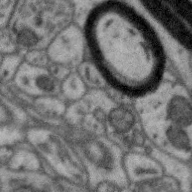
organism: Zebra finch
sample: Brain